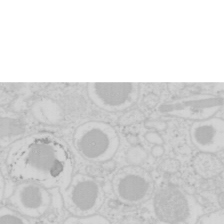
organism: Mouse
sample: Pancreas